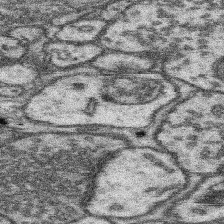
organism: Mouse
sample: Somatosensory cortex neuropil